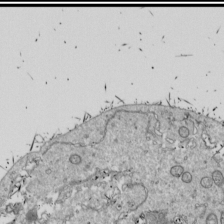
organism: Drosophila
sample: Cell division; meiosis; drosophila spermatocytes